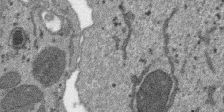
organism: Human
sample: Lung epithelial cells infected with SARS-CoV-2